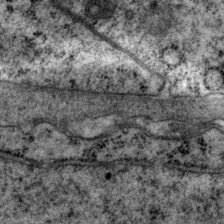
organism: P. pacificus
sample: Pharynx